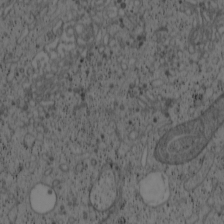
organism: African green monkey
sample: COS-7 cells